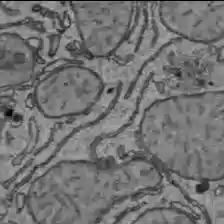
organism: C57BL Mouse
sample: Liver